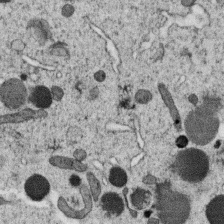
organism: C. elegans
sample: C. elegans oocyte; sperm cells